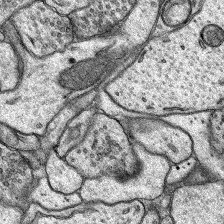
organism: Rat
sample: Hippocampus